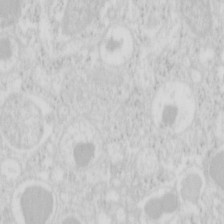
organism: Mouse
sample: Pancreas